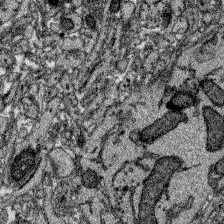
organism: Zebrafish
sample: Larval olfactory bulb